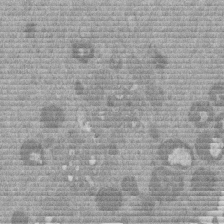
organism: Mouse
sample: Dividing mouse embryo 1 cell stage